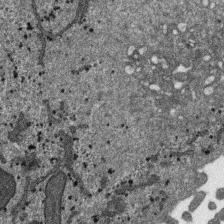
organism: Human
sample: Lung epithelial cells infected with SARS-CoV-2